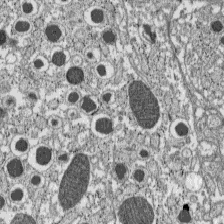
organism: C57BL Mouse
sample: Pancreatic islet